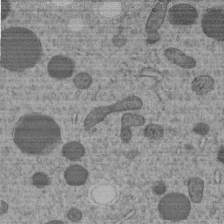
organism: C. elegans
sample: C. elegans embryo early stage